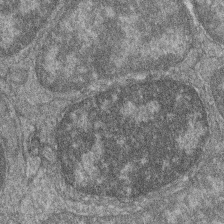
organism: Zebrafish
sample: Cilia; retinal pigment epithelium